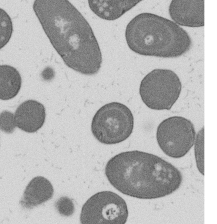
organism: B. subtilis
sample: Bacterial spore